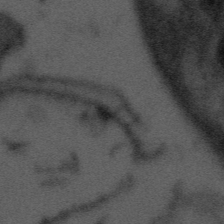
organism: Tuwongella immobilis